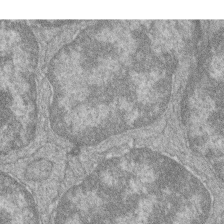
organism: Zebrafish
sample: Cilia; retinal pigment epithelium